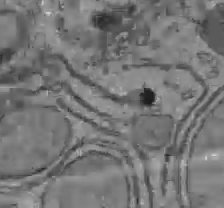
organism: C57BL Mouse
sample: Liver